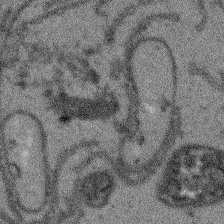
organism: Arabidopsis thaliana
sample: Root tip